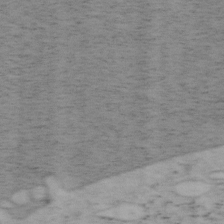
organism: Mouse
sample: OT-I killer T cells with ID8 ovarian cancer cells